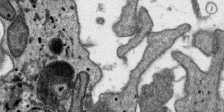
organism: Human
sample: Lung epithelial cells, uninfected (mock) control